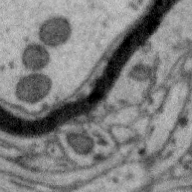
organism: Zebra finch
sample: Brain